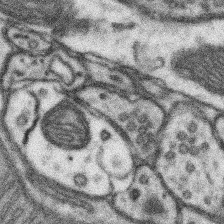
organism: Mouse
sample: Somatosensory cortex neuropil